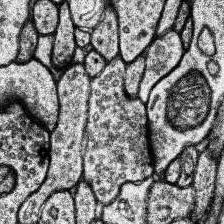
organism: Human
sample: Temporal Lobe